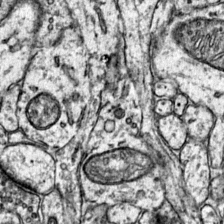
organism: Mouse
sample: Primary visual cortex